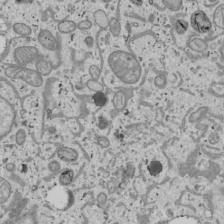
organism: Human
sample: Mitochondria in U2OS cells